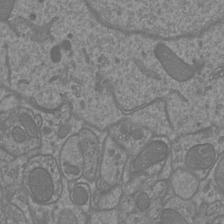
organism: Mouse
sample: Cortical neurons